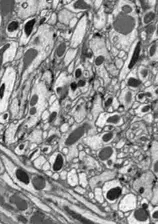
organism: Drosophila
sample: Optic lobe